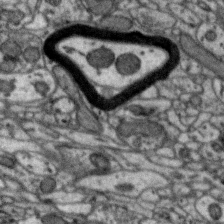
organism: Zebra finch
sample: Brain